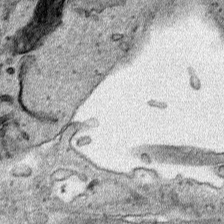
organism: Human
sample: Mitochondria in HCT116 cells